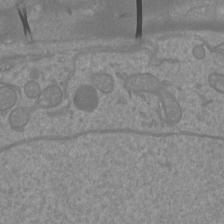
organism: Mouse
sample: Cortical neurons